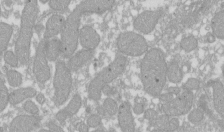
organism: Xenopus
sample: Cilia; centrioles in frog embryo cells